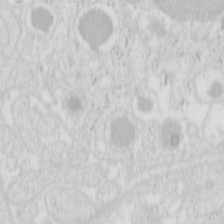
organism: Mouse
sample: Pancreas